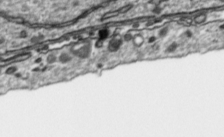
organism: Toxoplasma gondii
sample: Parasites in a vacuole inside a host cell